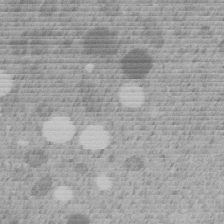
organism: C. elegans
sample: C. elegans embryo early stage